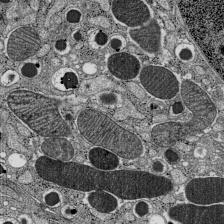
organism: C57BL Mouse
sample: Pancreatic islet